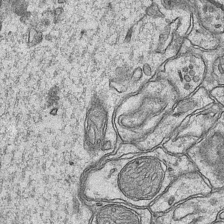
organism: Mouse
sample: CA1 Hippocampus